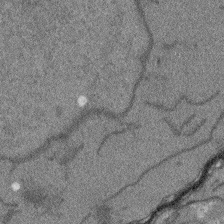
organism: Arabidopsis thaliana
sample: Root tip